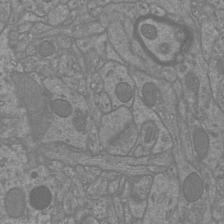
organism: Mouse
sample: Cortical neurons